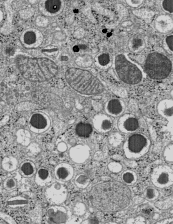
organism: C57BL Mouse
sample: Pancreatic islet